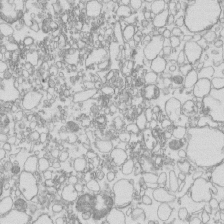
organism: Mouse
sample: Macrophages